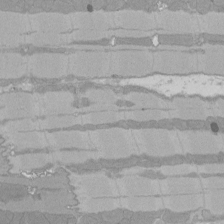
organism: Rat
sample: Left ventricle